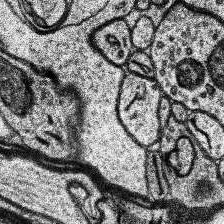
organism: Human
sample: Temporal Lobe